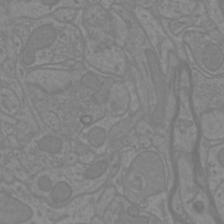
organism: Mouse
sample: Cortical neurons